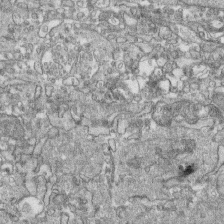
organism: Human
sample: CRL-1474